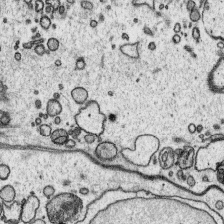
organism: Platynereis dumerilii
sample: Parapodia